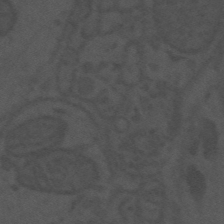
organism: Mouse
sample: Suprachiasmatic nucleus